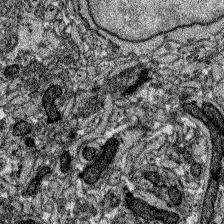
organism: Zebrafish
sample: Larval olfactory bulb